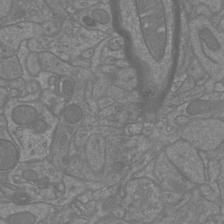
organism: Mouse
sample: Cortical neurons